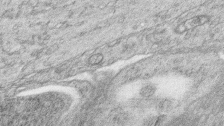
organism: Zebrafish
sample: synaptic ribbons in rod cells and cone cells